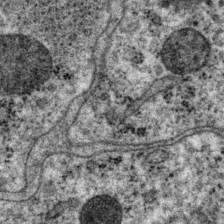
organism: P. pacificus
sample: Pharynx